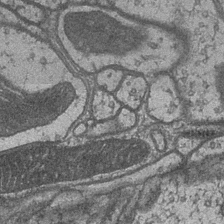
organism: Drosophila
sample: Optic medulla